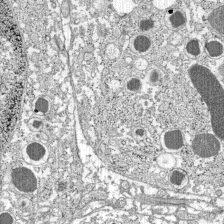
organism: C57BL Mouse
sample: Pancreatic islet